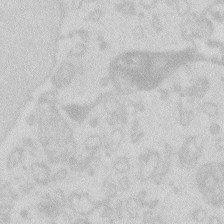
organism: Zebrafish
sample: Macrophage